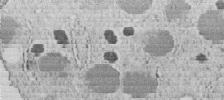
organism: C. elegans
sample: C. elegans embryo early stage